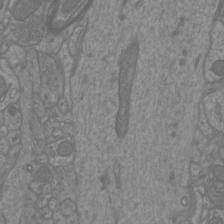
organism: Mouse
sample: Cortical neurons